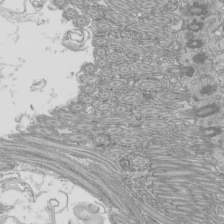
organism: Mouse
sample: Cilia; mouse epididymis